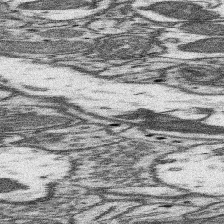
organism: Mouse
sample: Somatosensory cortex neuropil